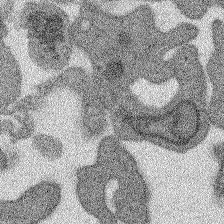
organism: Human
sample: HeLa cells